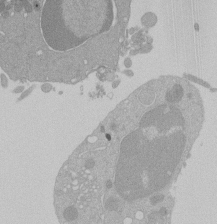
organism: Mouse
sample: Activated Pmel transgenic CD8+ T Cells